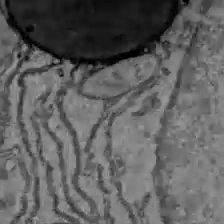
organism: C57BL Mouse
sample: Liver